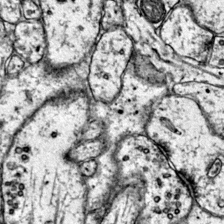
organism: Mouse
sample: Primary visual cortex